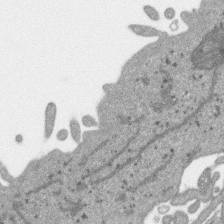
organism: Human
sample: Lung epithelial cells infected with SARS-CoV-2